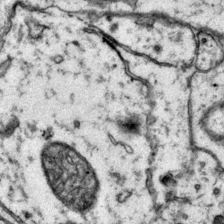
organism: Mouse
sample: Primary visual cortex